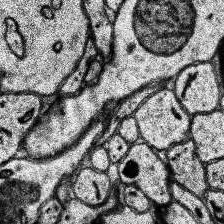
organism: Human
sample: Temporal Lobe